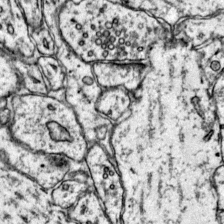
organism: Mouse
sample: Primary visual cortex